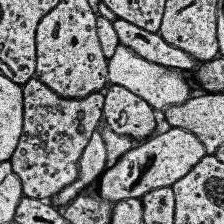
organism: Human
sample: Temporal Lobe